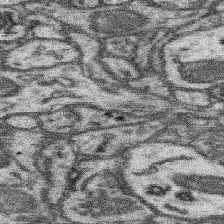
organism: Mouse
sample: Somatosensory cortex neuropil